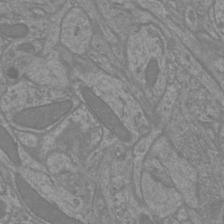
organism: Mouse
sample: Cortical neurons